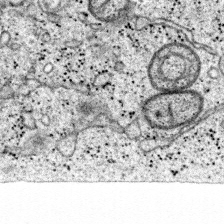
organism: Human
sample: HeLa cells